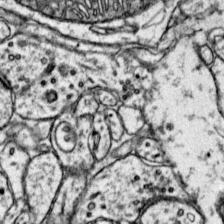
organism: Mouse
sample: Primary visual cortex